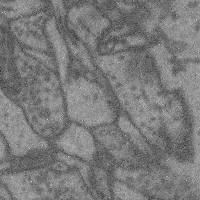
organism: Mouse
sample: Cerebral cortex